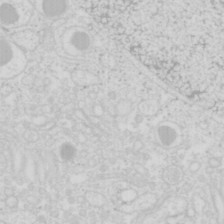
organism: Mouse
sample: Pancreas